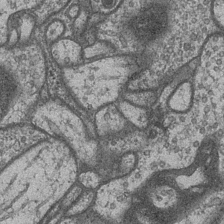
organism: Drosophila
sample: Optic medulla